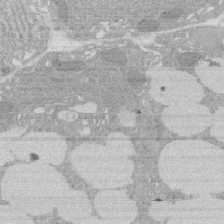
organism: Rat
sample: Salivary granule